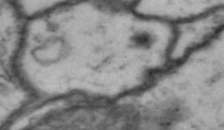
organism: Drosophila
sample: Brain